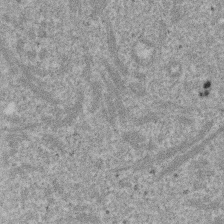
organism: Mouse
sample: Dividing mouse embryo 1 cell stage